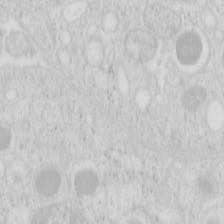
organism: Mouse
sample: Pancreas